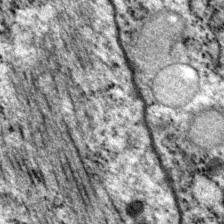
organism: P. pacificus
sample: Pharynx